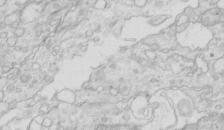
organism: Mouse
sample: Multiciliated cells